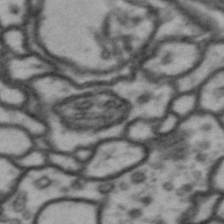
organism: Drosophila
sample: Brain